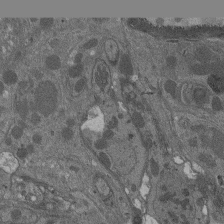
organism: Drosophila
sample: Antenna